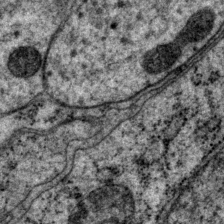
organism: P. pacificus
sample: Pharynx